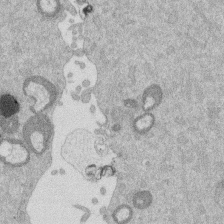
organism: Mouse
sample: Dividing mouse embryo 1 cell stage